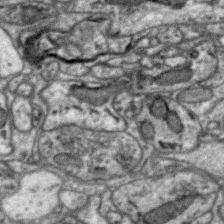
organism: Zebra finch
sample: Brain